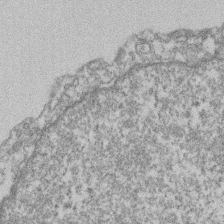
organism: Mouse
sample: T cell stromal cell synapse